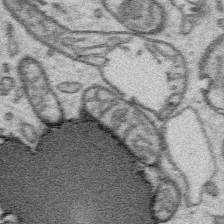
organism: Platynereis dumerilii